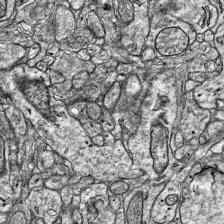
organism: Mouse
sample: Visual Cortex